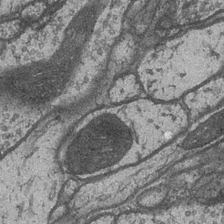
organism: Drosophila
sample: Optic medulla